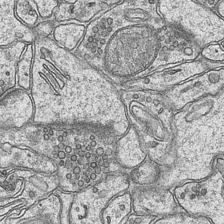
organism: Mouse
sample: CA1 Hippocampus